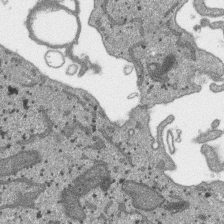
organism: Human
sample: Lung epithelial cells infected with SARS-CoV-2